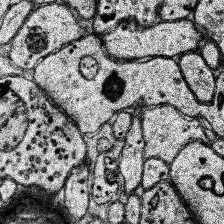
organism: Human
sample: Temporal Lobe